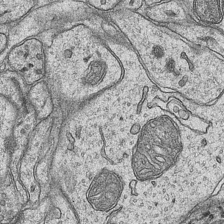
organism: Mouse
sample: CA1 Hippocampus